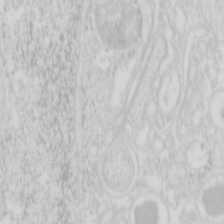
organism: Mouse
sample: Pancreas